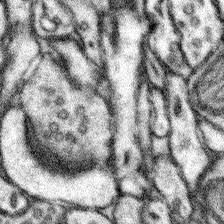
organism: Mouse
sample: Somatosensory cortex neuropil